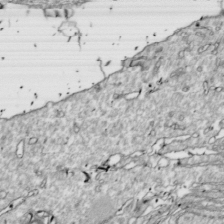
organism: Drosophila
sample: Cell division; meiosis; drosophila spermatocytes